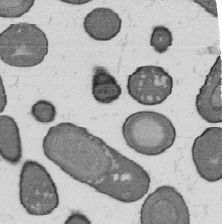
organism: B. subtilis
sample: Bacterial spore